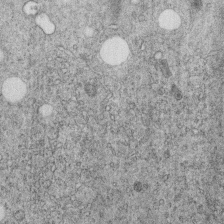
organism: C. elegans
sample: C. elegans embryo early stage